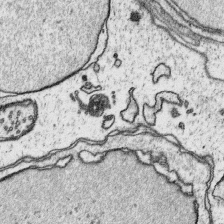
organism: Platynereis dumerilii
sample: Parapodia